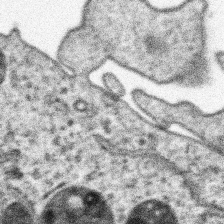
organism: Human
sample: HeLa cells